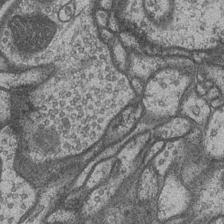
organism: Drosophila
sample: Optic medulla